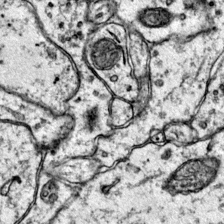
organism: Mouse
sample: Primary visual cortex